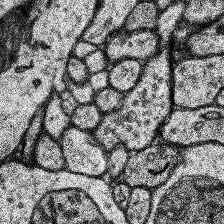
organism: Human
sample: Temporal Lobe